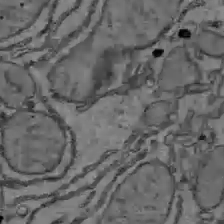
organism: C57BL Mouse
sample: Liver